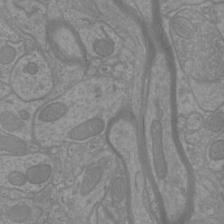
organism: Mouse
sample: Cortical neurons